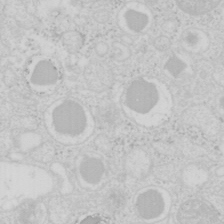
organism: Mouse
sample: Pancreas